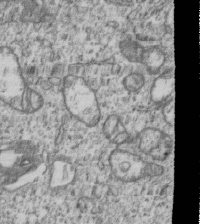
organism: Human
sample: MDA-MB-231 cells